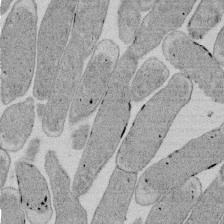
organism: E. coli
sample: Bacterial nucleoid